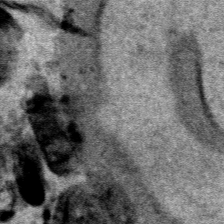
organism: Human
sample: Mitochondria in HCT116 cells